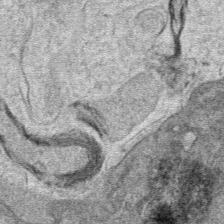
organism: Mouse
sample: Mouse hepatocytes